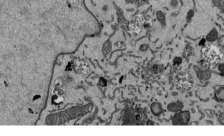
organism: Mouse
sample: ED-1 cell nuclei; centrioles